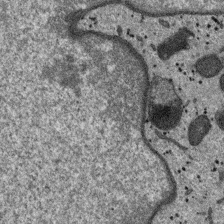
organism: Human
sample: Lung epithelial cells, uninfected (mock) control